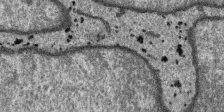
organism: Human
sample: Lung epithelial cells, uninfected (mock) control